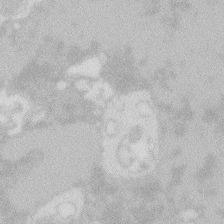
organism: Zebrafish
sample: Macrophage